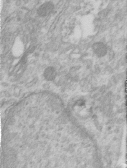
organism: Human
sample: Centriole in RPE cells